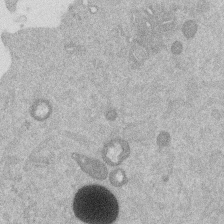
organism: Mouse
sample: Dividing mouse embryo 1 cell stage